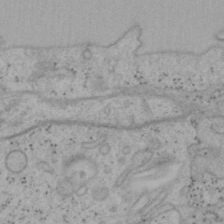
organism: Human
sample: HeLa cells